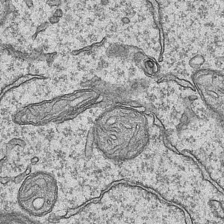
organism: Mouse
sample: CA1 Hippocampus